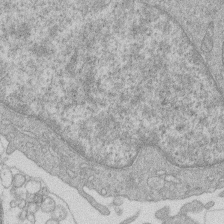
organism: Human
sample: Macrophage cells